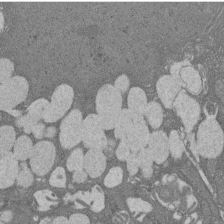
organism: Rat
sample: Salivary granule